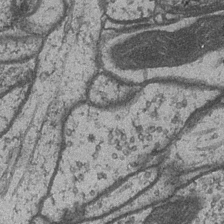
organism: Drosophila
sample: Optic medulla